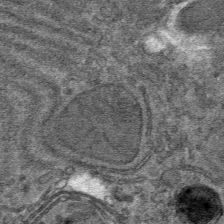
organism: Mouse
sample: Mouse hepatocytes